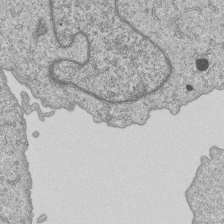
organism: Human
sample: MDA-MB-231 cells